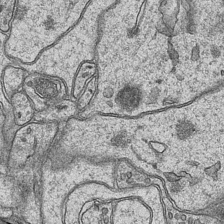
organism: Mouse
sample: CA1 Hippocampus